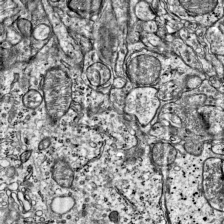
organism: Mouse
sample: Visual Cortex